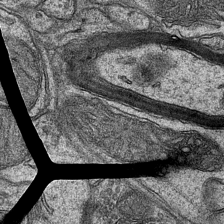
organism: Mouse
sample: CA1 Hippocampus